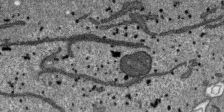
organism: Human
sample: Lung epithelial cells, uninfected (mock) control